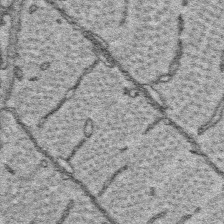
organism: Platynereis dumerilii